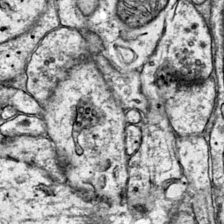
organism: Mouse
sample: Primary visual cortex